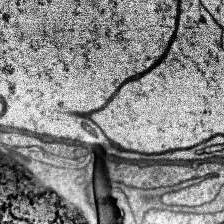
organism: Human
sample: Temporal Lobe